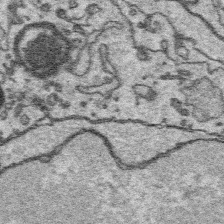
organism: Platynereis dumerilii